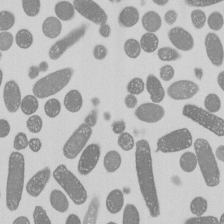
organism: E. coli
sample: Bacterial nucleoid